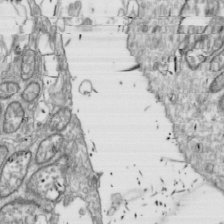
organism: Drosophila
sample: Cell division; meiosis; drosophila spermatocytes